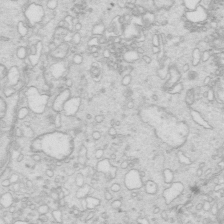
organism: Mouse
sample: Multiciliated cells